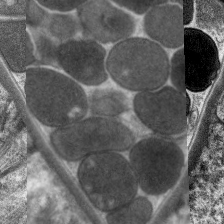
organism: C. elegans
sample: Pharynx